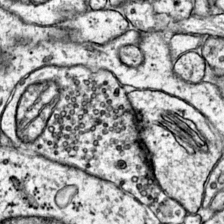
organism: Mouse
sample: Primary visual cortex